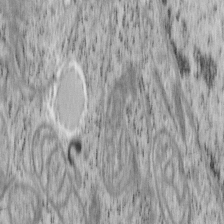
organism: Human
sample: HeLa cells